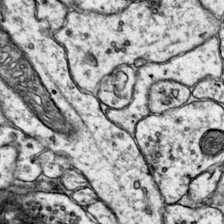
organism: Mouse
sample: Primary visual cortex